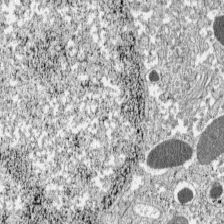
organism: C57BL Mouse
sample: Pancreatic islet